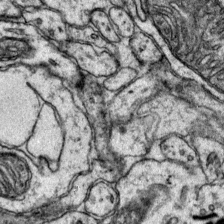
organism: Mouse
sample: Primary visual cortex